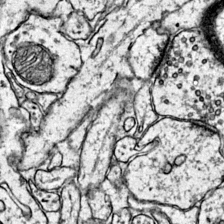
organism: Mouse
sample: Primary visual cortex